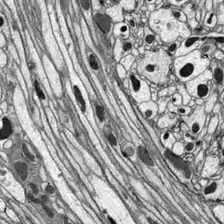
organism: Drosophila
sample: Optic lobe